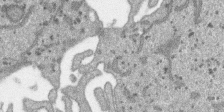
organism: Human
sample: Lung epithelial cells infected with SARS-CoV-2